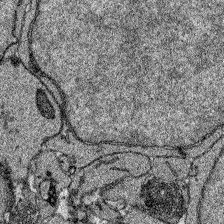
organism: Zebrafish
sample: Larval olfactory bulb